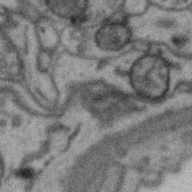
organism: Zebra finch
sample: Brain